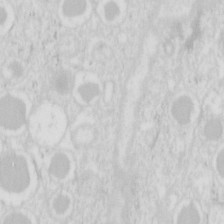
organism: Mouse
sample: Pancreas